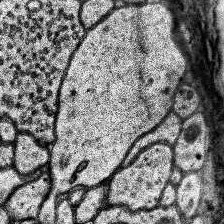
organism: Human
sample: Temporal Lobe